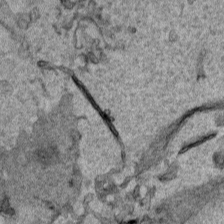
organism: Human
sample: Mitochondria in HCT116 cells